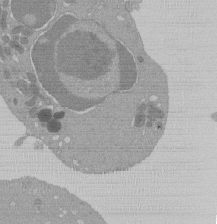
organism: Mouse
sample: Activated Pmel transgenic CD8+ T Cells